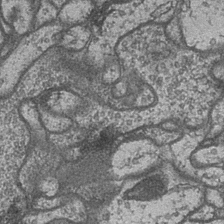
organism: Drosophila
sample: Optic medulla